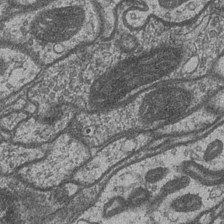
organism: Drosophila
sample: Optic medulla